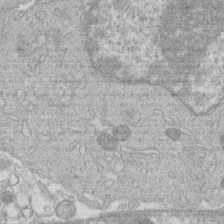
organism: Human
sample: Macrophage cells